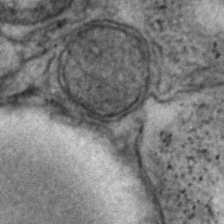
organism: Human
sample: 1205lu cells